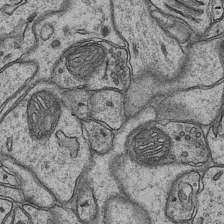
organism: Mouse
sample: CA1 Hippocampus